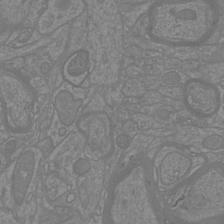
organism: Mouse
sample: Cortical neurons